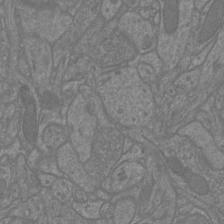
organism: Mouse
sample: Cortical neurons